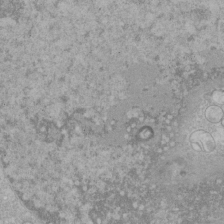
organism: Human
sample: Mitochondria in HCT116 cells